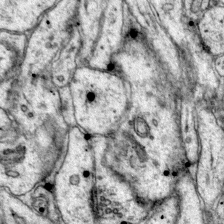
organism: Mouse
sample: Primary visual cortex